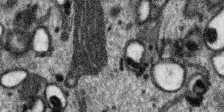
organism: Human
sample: Lung epithelial cells infected with SARS-CoV-2